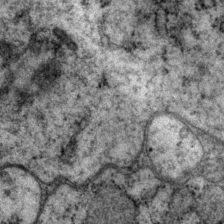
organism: P. pacificus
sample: Pharynx